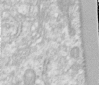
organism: Human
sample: Centriole in RPE cells